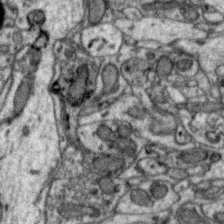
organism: Zebra finch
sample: Brain